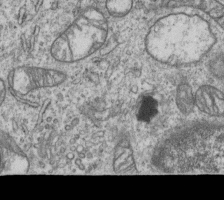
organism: Human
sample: MDA-MB-231 cells